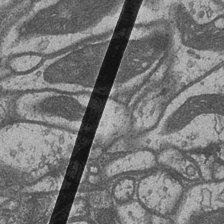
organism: Drosophila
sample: Optic medulla